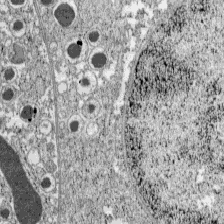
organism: C57BL Mouse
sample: Pancreatic islet